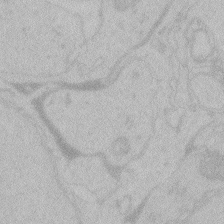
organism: Zebrafish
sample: Macrophage infected with Toxoplasma gondii